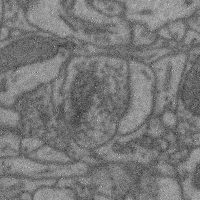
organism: Mouse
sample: Cerebral cortex